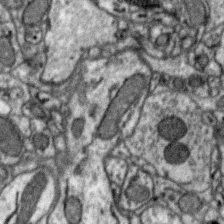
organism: Zebra finch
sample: Brain